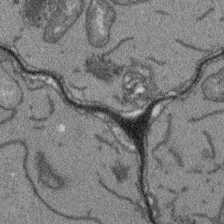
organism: Arabidopsis thaliana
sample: Root tip